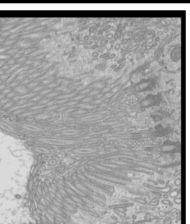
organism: Mouse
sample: Cilia; mouse epididymis